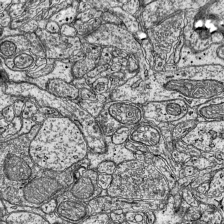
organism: Mouse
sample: Visual Cortex